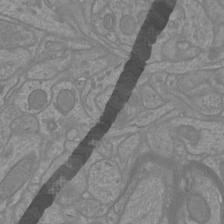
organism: Mouse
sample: Cortical neurons